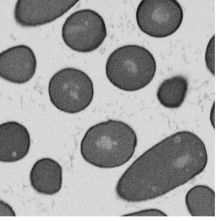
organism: B. subtilis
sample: Bacterial spore